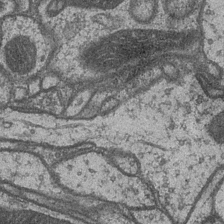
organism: Drosophila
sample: Optic medulla